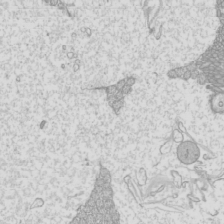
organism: Mouse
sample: Cilia; mouse epididymis